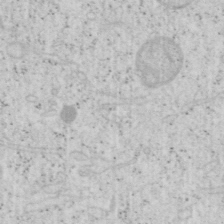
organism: Human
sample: HeLa cells